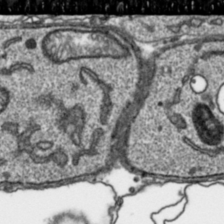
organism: Toxoplasma gondii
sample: Parasites in a vacuole inside a host cell